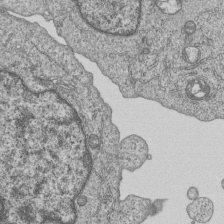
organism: Human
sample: MDA-MB-231 cells